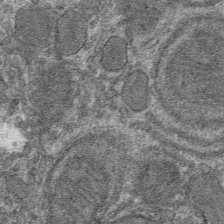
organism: Mouse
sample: Mouse hepatocytes